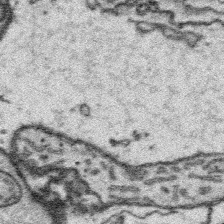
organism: Platynereis dumerilii